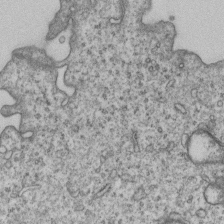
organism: Human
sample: MDA-MB-231 cells